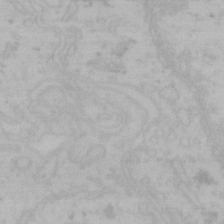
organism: Mouse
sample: Choroid plexus